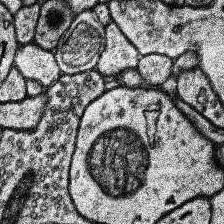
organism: Human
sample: Temporal Lobe